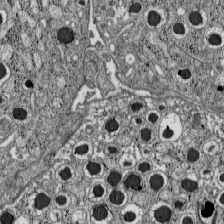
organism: C57BL Mouse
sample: Pancreatic islet